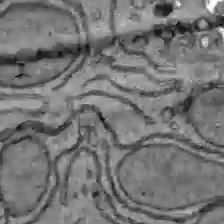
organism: C57BL Mouse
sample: Liver